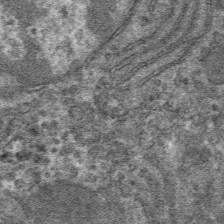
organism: Mouse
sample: Mouse hepatocytes